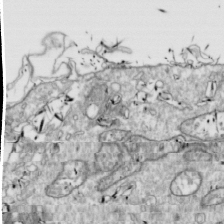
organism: Drosophila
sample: Cell division; meiosis; drosophila spermatocytes